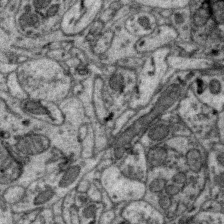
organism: Zebra finch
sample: Brain